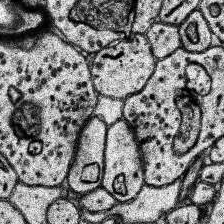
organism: Human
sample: Temporal Lobe